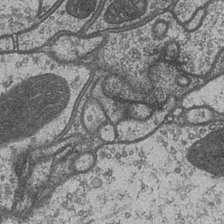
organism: Drosophila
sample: Optic medulla